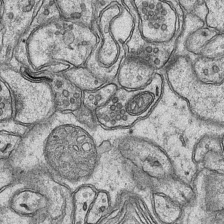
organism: Mouse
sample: CA1 Hippocampus